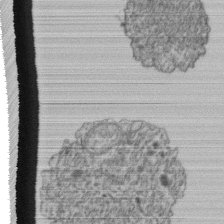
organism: Human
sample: Retinal organoid Rod and Cone cells